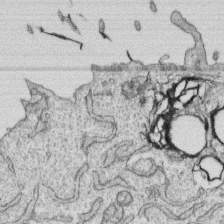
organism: Human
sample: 1205lu cells